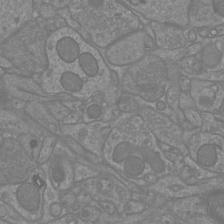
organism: Mouse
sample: Cortical neurons